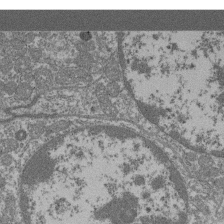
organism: Mouse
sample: Glomerulus